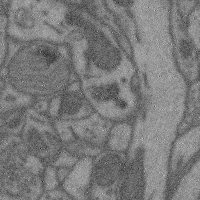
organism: Mouse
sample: Cerebral cortex